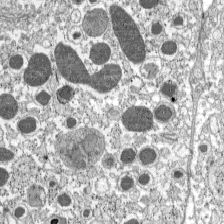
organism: C57BL Mouse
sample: Pancreatic islet